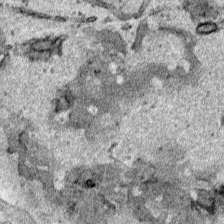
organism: Human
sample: Mitochondria in HCT116 cells